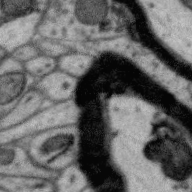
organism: Zebra finch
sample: Brain